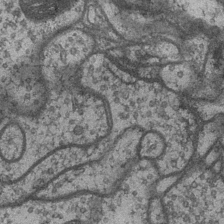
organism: Drosophila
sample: Optic medulla